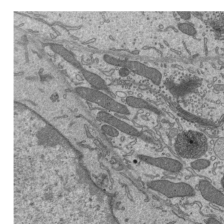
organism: Mouse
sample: Mouse epididymis efferent ductule cilia